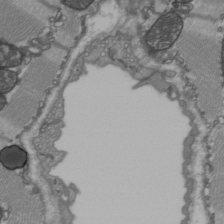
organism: C57BL Mouse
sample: Heart